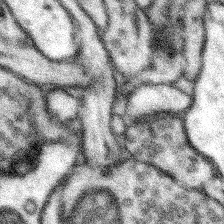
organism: Mouse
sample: Somatosensory cortex neuropil